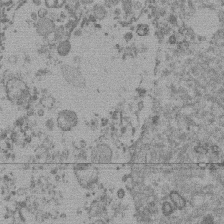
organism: Mouse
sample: Dividing mouse embryo 1 cell stage